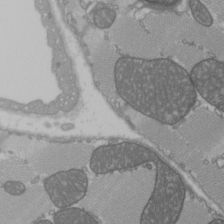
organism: C57BL Mouse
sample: Heart